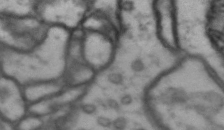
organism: Drosophila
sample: Brain